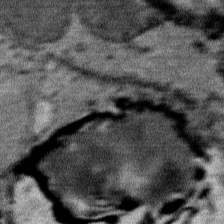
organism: Mouse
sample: Mouse Salivary gland